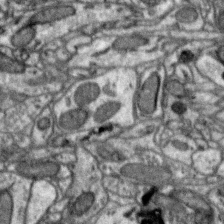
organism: Zebra finch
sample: Brain